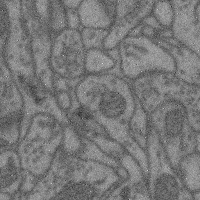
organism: Mouse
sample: Cerebral cortex